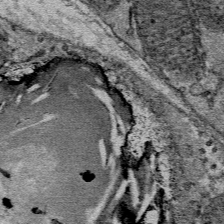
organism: Mouse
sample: Mouse Salivary gland